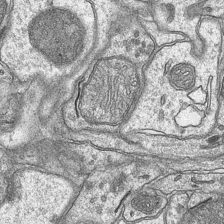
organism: Mouse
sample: CA1 Hippocampus